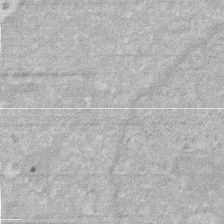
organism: Human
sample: HIV infected U937 cells